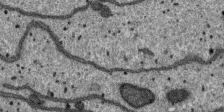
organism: Human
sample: Lung epithelial cells, uninfected (mock) control